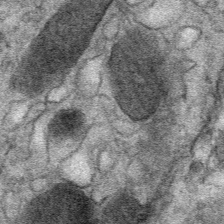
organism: Mouse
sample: Mouse Salivary gland